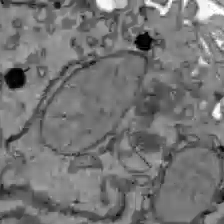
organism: C57BL Mouse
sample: Liver